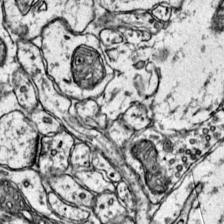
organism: Mouse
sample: Primary visual cortex